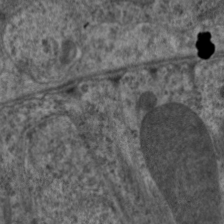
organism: C. elegans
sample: Pharynx